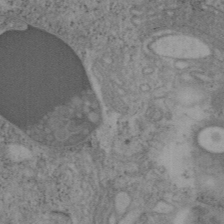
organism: Mouse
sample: OT-I killer T cells with ID8 ovarian cancer cells